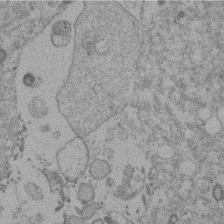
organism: Mouse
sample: Dividing mouse embryo 1 cell stage